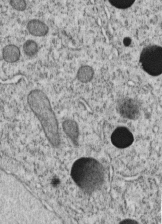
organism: C. elegans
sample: C. elegans embryo early stage